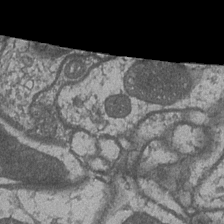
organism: Drosophila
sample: Optic medulla